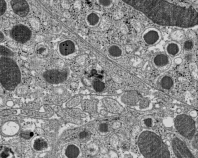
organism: C57BL Mouse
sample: Pancreatic islet